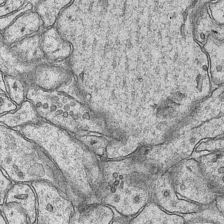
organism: Mouse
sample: CA1 Hippocampus